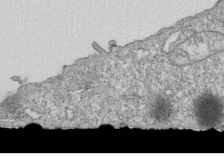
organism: Human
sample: HeLa cell HIV synapse